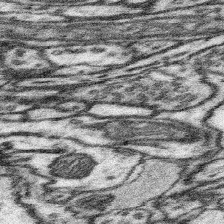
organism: Mouse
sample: Somatosensory cortex neuropil